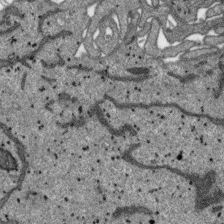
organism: Human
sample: Lung epithelial cells, uninfected (mock) control